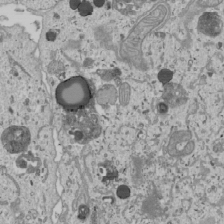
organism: Human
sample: Mitochondria in U2OS cells